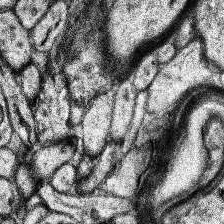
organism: Human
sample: Temporal Lobe